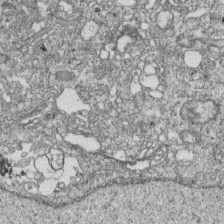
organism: Human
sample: HeLa cell HIV synapse